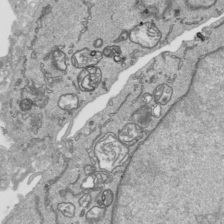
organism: Human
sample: Mitochondria in HCT116 cells